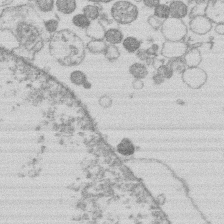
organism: Human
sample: Macrophage cells